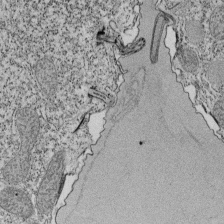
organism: Tetrahymena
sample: Cilia in tetrahymena